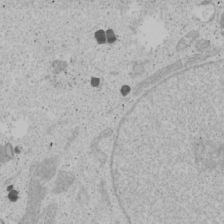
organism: Human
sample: Mitochondria in U2OS cells